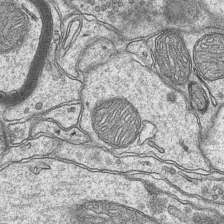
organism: Mouse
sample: CA1 Hippocampus